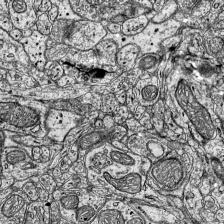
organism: Mouse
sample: Visual Cortex